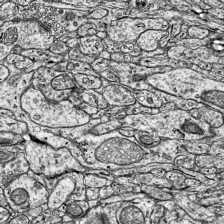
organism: Mouse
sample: Visual Cortex